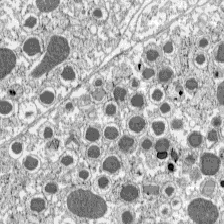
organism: C57BL Mouse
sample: Pancreatic islet